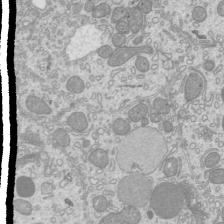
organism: Mouse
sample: Cilia; mouse epididymis